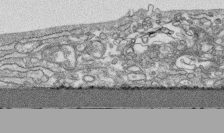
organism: Human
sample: CRL-1474